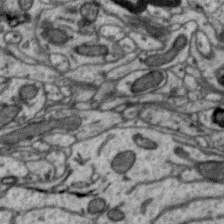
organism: Zebra finch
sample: Brain